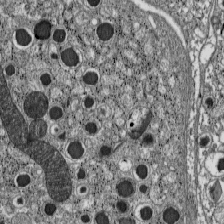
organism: C57BL Mouse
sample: Pancreatic islet